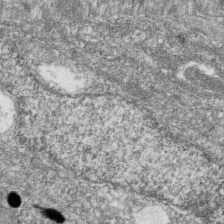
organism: Zebrafish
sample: Cilia; retinal pigment epithelium